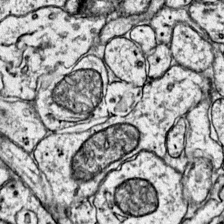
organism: Mouse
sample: Primary visual cortex